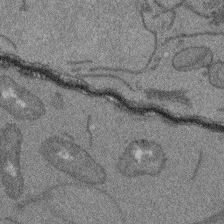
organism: Arabidopsis thaliana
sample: Root tip